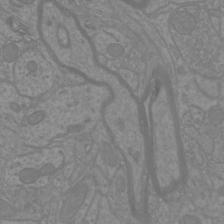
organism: Mouse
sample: Cortical neurons